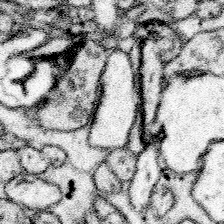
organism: Mouse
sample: Somatosensory cortex neuropil